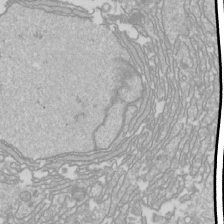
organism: Drosophila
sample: Cell division; meiosis; drosophila spermatocytes